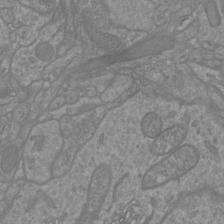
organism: Mouse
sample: Cortical neurons